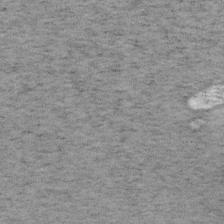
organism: Mouse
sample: OT-I killer T cells with ID8 ovarian cancer cells